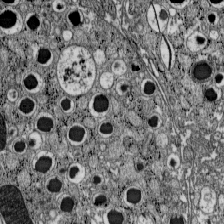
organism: C57BL Mouse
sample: Pancreatic islet